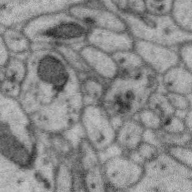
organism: Zebra finch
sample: Brain